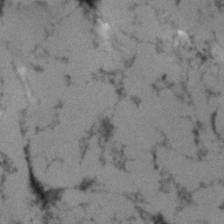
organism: Human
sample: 1205lu cells